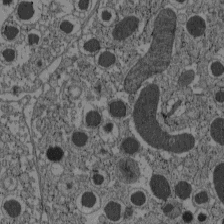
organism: C57BL Mouse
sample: Pancreatic islet